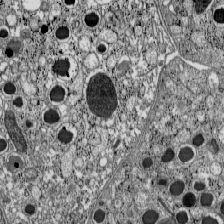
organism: C57BL Mouse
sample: Pancreatic islet